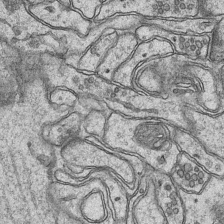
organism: Mouse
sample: CA1 Hippocampus